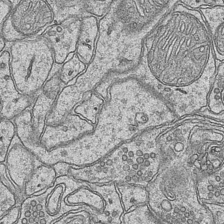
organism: Mouse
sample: CA1 Hippocampus